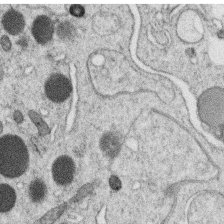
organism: C. elegans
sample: C. elegans oocyte; sperm cells